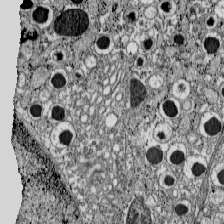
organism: C57BL Mouse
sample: Pancreatic islet